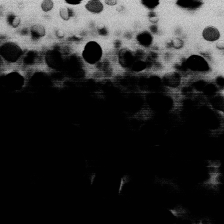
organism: Human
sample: HIV infected U937 cells